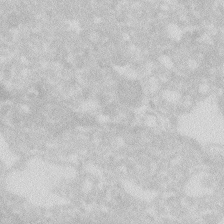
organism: Zebrafish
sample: Macrophage